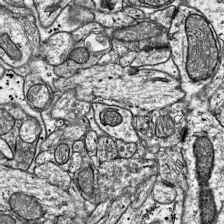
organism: Mouse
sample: Visual Cortex